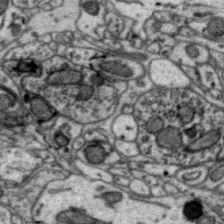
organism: Zebra finch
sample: Brain